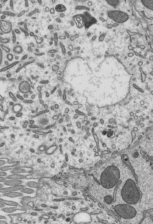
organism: Mouse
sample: Mouse epididymis efferent ductule cilia